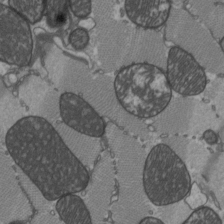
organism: C57BL Mouse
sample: Heart